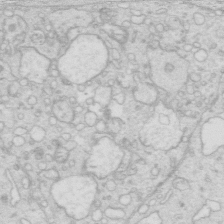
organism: Mouse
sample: Multiciliated cells